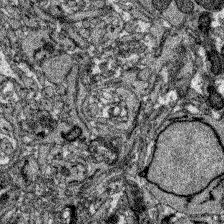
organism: Zebrafish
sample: Larval olfactory bulb